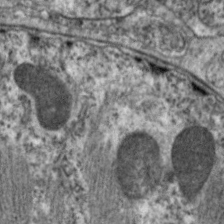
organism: C. elegans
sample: Pharynx